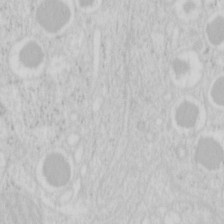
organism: Mouse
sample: Pancreas